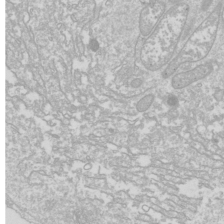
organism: Drosophila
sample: Cell division; meiosis; drosophila spermatocytes